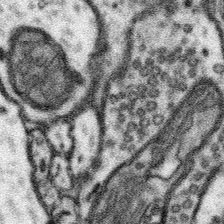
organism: Mouse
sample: Somatosensory cortex neuropil